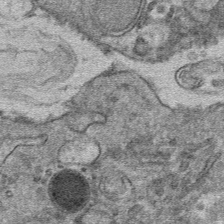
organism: Mouse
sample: Mouse hepatocytes